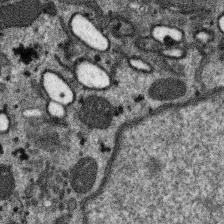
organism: Human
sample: Lung epithelial cells infected with SARS-CoV-2